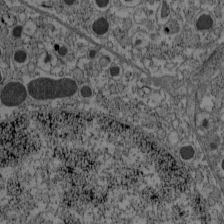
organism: C57BL Mouse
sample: Pancreatic islet